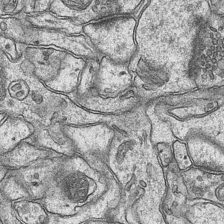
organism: Mouse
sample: CA1 Hippocampus